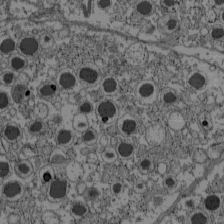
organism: C57BL Mouse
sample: Pancreatic islet